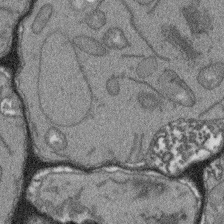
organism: Arabidopsis thaliana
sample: Root tip